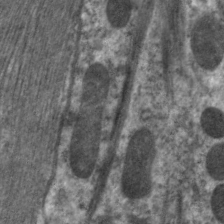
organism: C. elegans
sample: Pharynx